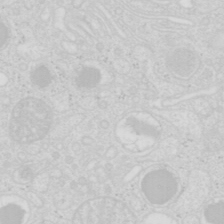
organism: Mouse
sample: Pancreas